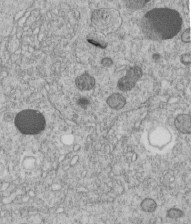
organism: C. elegans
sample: C. elegans embryo early stage